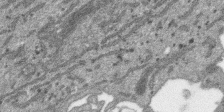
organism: Human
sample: Lung epithelial cells infected with SARS-CoV-2